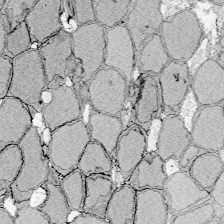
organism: Zebrafish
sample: Whole-Brain